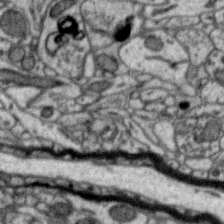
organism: Zebra finch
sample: Brain